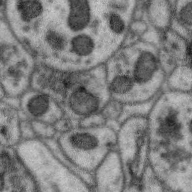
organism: Zebra finch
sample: Brain